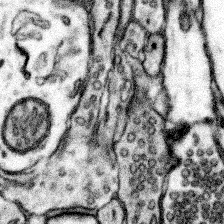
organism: Mouse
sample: Somatosensory cortex neuropil